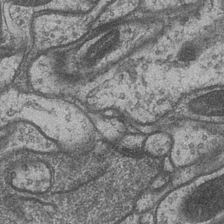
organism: Drosophila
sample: Optic medulla